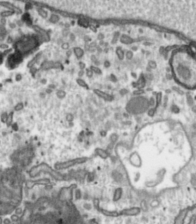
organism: Toxoplasma gondii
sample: Parasites in a vacuole inside a host cell